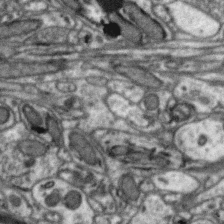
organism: Zebra finch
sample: Brain